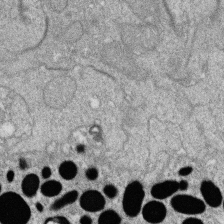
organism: Zebrafish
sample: Cilia; retinal pigment epithelium